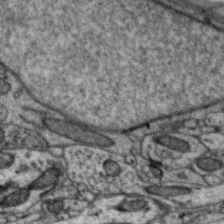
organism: Zebra finch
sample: Brain